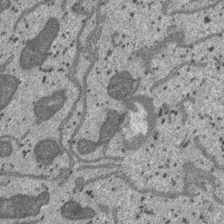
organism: Human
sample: Lung epithelial cells infected with SARS-CoV-2